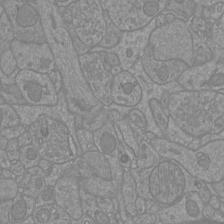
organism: Mouse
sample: Cortical neurons